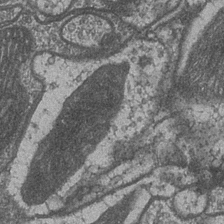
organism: Drosophila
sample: Optic medulla